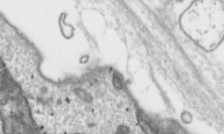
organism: Toxoplasma gondii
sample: Parasites in a vacuole inside a host cell